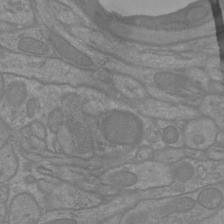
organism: Mouse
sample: Cortical neurons